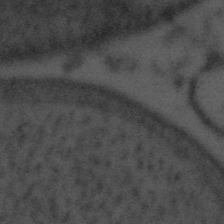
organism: Tuwongella immobilis